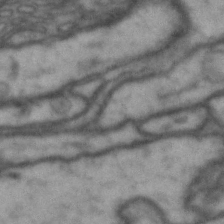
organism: Drosophila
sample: Brain